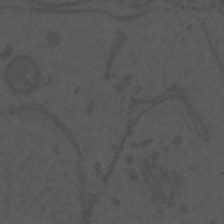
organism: Mouse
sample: Suprachiasmatic nucleus